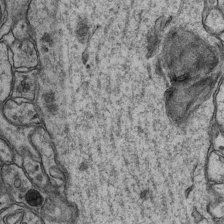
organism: Mouse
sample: CA1 Hippocampus